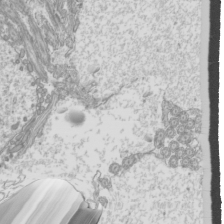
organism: Mouse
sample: Cilia; mouse epididymis